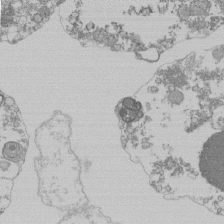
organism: Mouse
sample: Activated Pmel transgenic CD8+ T Cells